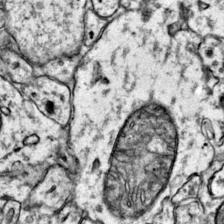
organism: Mouse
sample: Primary visual cortex